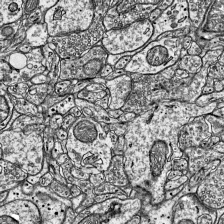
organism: Mouse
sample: Visual Cortex